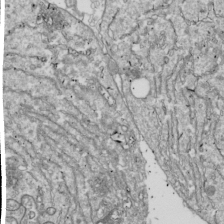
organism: Drosophila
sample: Cell division; meiosis; drosophila spermatocytes